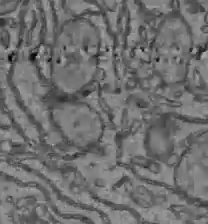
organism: C57BL Mouse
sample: Liver